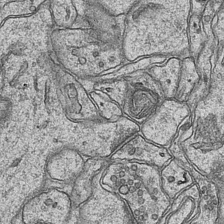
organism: Mouse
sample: CA1 Hippocampus